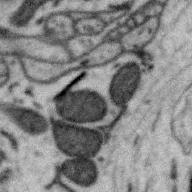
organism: Zebra finch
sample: Brain